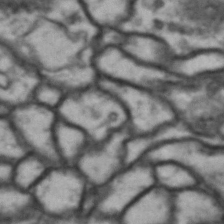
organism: Drosophila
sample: Brain